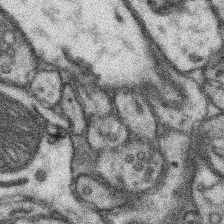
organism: Mouse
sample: Somatosensory cortex neuropil